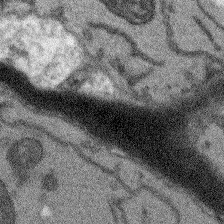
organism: Arabidopsis thaliana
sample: Root tip